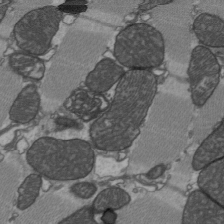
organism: C57BL Mouse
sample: Heart